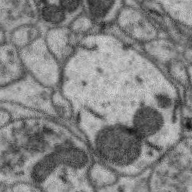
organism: Zebra finch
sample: Brain